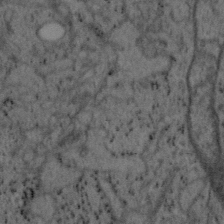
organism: Human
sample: HeLa cells